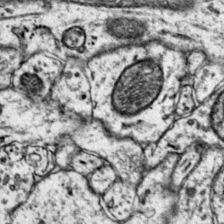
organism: Mouse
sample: Primary visual cortex